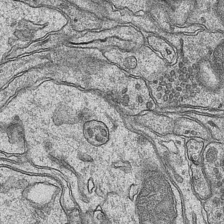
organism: Mouse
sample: CA1 Hippocampus